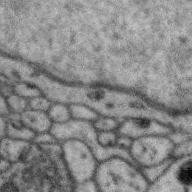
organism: Zebra finch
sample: Brain